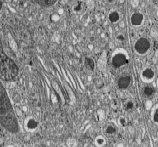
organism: C57BL Mouse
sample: Pancreatic islet